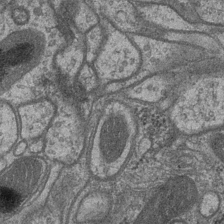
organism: Drosophila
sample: Optic medulla